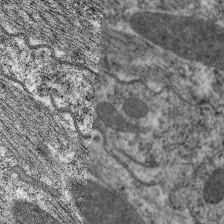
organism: C. elegans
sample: Pharynx